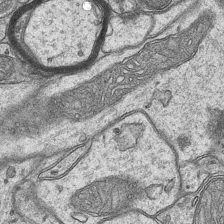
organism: Mouse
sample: CA1 Hippocampus